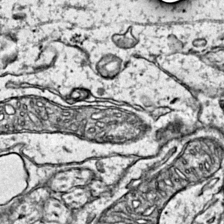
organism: Mouse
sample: Primary visual cortex